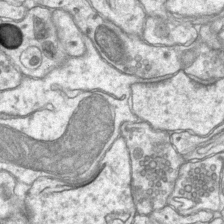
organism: Mouse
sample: CA1 Hippocampus